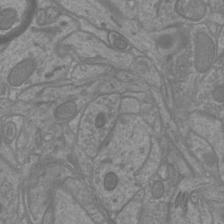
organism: Mouse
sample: Cortical neurons